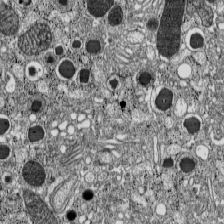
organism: C57BL Mouse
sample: Pancreatic islet